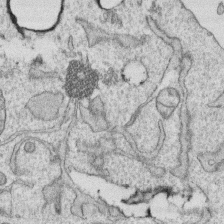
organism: Human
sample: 1205lu cells